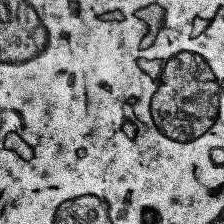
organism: Human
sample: Temporal Lobe